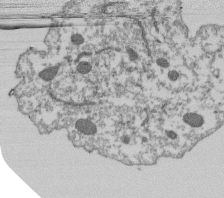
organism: Dictyostelium discoideum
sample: Dictyostelium multivesicular bodies